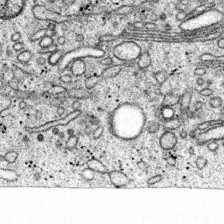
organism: Human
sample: HeLa cells